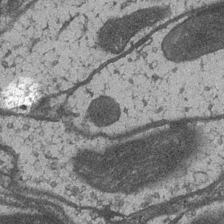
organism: Drosophila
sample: Optic medulla